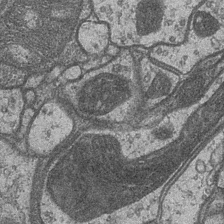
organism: Drosophila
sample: Optic medulla